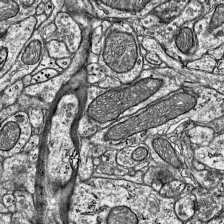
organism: Mouse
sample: Visual Cortex